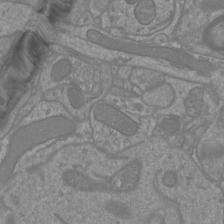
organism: Mouse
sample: Cortical neurons